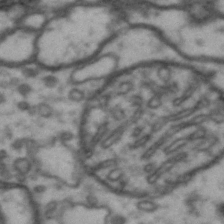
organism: Drosophila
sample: Brain